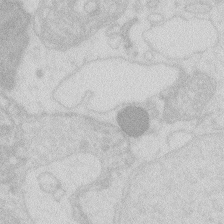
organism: Zebrafish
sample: Macrophage